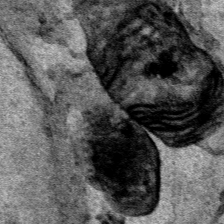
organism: Human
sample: Mitochondria in HCT116 cells